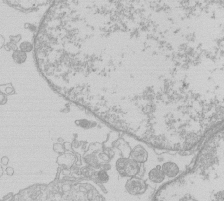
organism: Human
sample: Macrophage cells